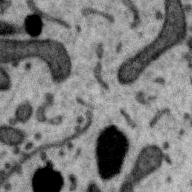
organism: Zebra finch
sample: Brain